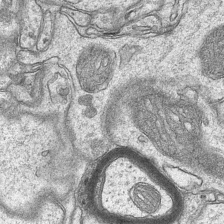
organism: Mouse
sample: CA1 Hippocampus